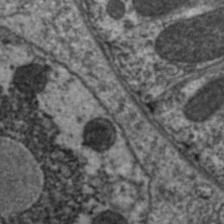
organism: C. elegans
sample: Pharynx